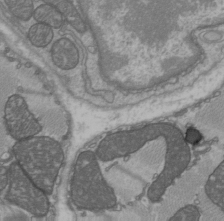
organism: C57BL Mouse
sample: Heart